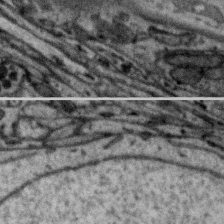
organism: Zebra finch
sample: Brain